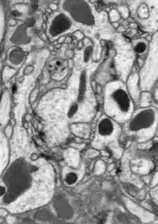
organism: Drosophila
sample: Optic lobe